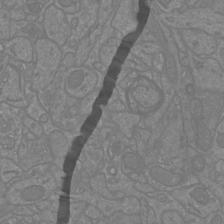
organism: Mouse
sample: Cortical neurons